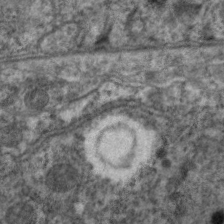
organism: C. elegans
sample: Pharynx